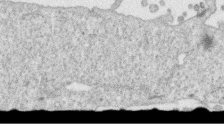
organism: Human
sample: HeLa cell HIV synapse